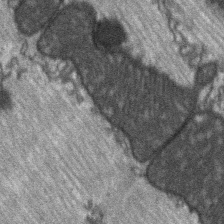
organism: C57BL Mouse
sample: Soleus